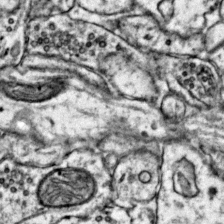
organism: Mouse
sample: Primary visual cortex